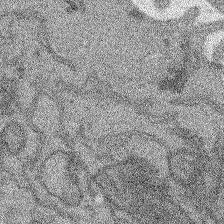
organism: Human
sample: HeLa cells